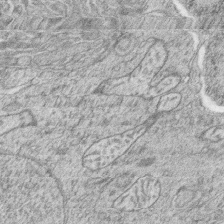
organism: Zebrafish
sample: synaptic ribbons in rod cells and cone cells